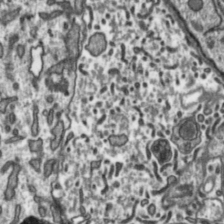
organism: Toxoplasma gondii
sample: Parasites in a vacuole inside a host cell